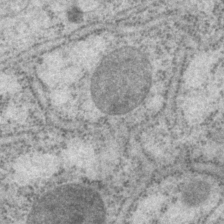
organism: P. pacificus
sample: Pharynx